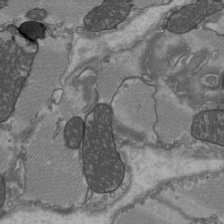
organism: C57BL Mouse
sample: Heart